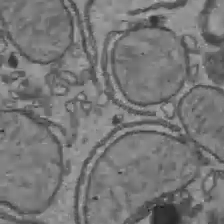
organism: C57BL Mouse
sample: Liver